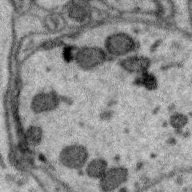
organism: Zebra finch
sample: Brain